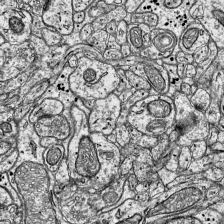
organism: Mouse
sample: Visual Cortex